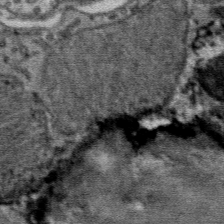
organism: Mouse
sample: Mouse Salivary gland